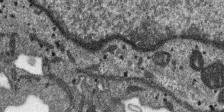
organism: Human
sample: Lung epithelial cells infected with SARS-CoV-2